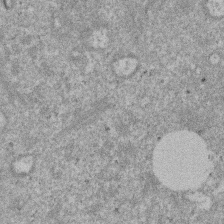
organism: Mouse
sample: Dividing mouse embryo 1 cell stage